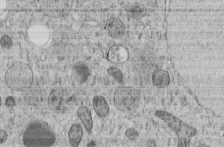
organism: C. elegans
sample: C. elegans embryo early stage